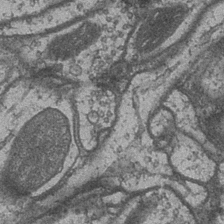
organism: Drosophila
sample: Optic medulla